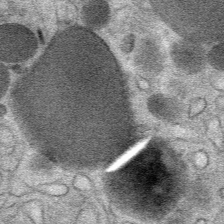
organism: Mouse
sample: Mouse Salivary gland